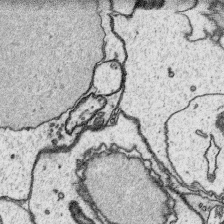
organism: Platynereis dumerilii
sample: Parapodia